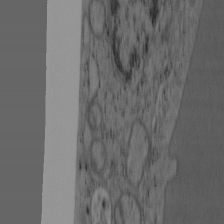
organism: Human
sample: HeLa cells